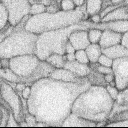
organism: Rabbit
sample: Retina